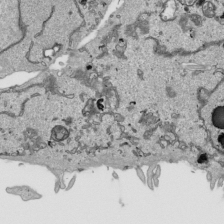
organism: Human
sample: Mitochondria in HCT116 cells